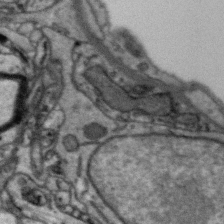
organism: Zebra finch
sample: Brain